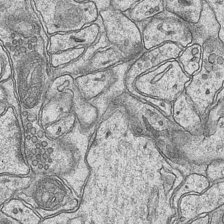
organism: Mouse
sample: CA1 Hippocampus